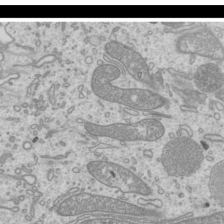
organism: Mouse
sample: Cilia; mouse epididymis